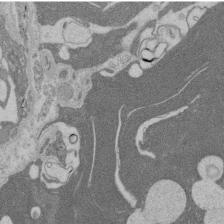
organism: Rat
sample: Salivary granule